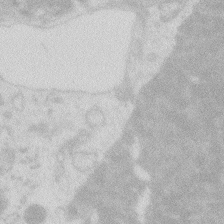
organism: Zebrafish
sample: Macrophage